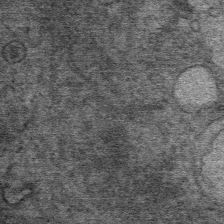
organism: Mouse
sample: Mouse Salivary gland